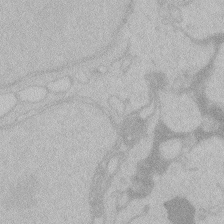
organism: Zebrafish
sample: Macrophage infected with Toxoplasma gondii